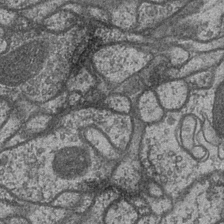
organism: Drosophila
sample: Optic medulla